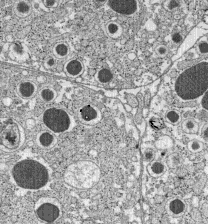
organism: C57BL Mouse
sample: Pancreatic islet